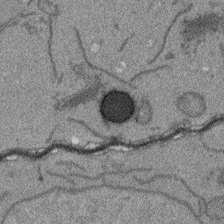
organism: Arabidopsis thaliana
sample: Root tip